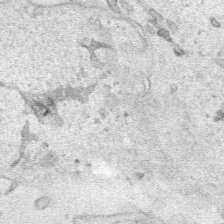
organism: Human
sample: Mitochondria in HCT116 cells